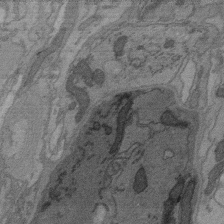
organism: C. elegans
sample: AFD neurons C. elegans